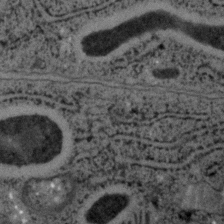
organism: C. elegans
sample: C. elegans embryo